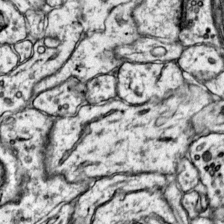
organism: Mouse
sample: Primary visual cortex